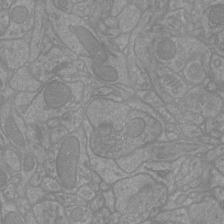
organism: Mouse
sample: Cortical neurons